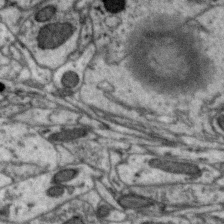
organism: Zebra finch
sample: Brain